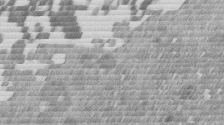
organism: Mouse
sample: Dividing mouse embryo 1 cell stage